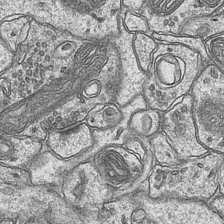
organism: Mouse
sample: CA1 Hippocampus